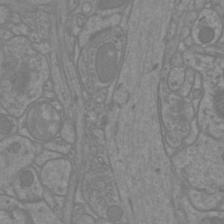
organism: Mouse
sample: Cortical neurons